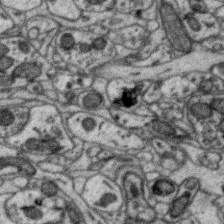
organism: Zebra finch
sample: Brain